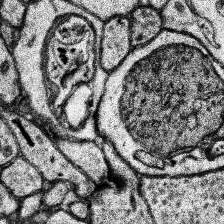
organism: Human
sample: Temporal Lobe